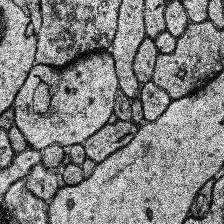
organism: Human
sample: Temporal Lobe